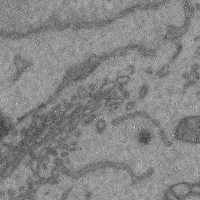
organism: Mouse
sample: Cerebral cortex